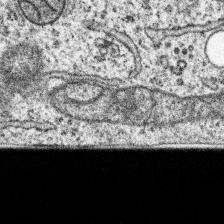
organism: Human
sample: HeLa cells